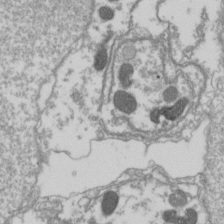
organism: Drosophila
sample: Cell division; meiosis; drosophila spermatocytes